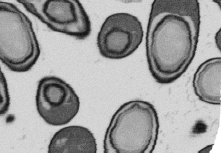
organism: B. subtilis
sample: Bacterial spore